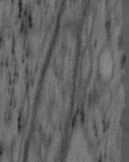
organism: Human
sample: HeLa cells